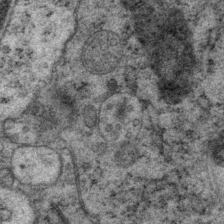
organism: P. pacificus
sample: Pharynx